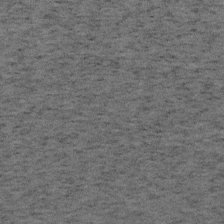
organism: Mouse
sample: OT-I killer T cells with ID8 ovarian cancer cells